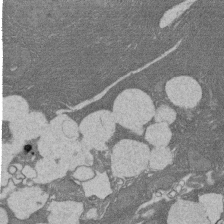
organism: Rat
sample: Salivary granule